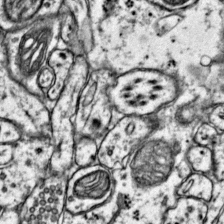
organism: Mouse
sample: Primary visual cortex